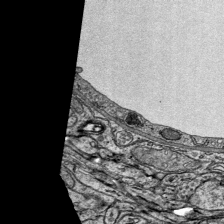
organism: Mouse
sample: Visual Cortex